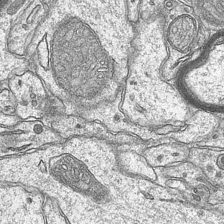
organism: Mouse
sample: CA1 Hippocampus